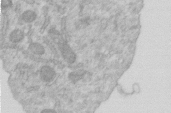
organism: Human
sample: Centriole in RPE cells